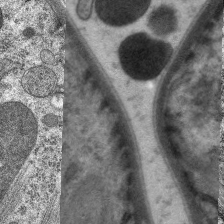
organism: C. elegans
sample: Pharynx